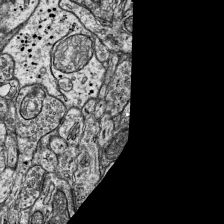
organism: Mouse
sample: Visual Cortex